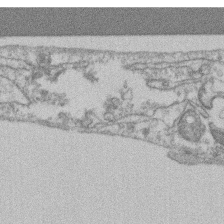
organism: Mouse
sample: T cell stromal cell synapse